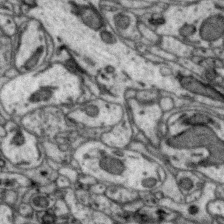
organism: Zebra finch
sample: Brain